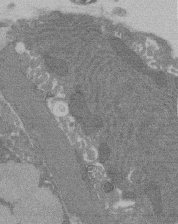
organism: Rat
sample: Salivary granule